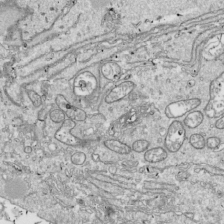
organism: Drosophila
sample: Cell division; meiosis; drosophila spermatocytes